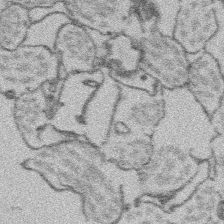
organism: Platynereis dumerilii